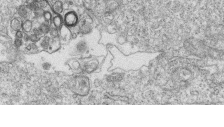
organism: Human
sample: HeLa cell HIV synapse